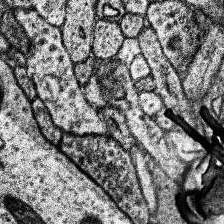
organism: Human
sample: Temporal Lobe